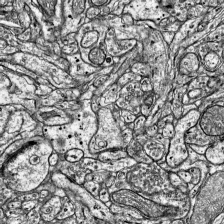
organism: Mouse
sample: Visual Cortex